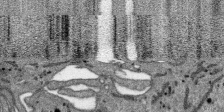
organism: Human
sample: Lung epithelial cells, uninfected (mock) control